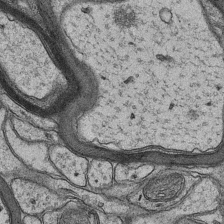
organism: Mouse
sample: CA1 Hippocampus